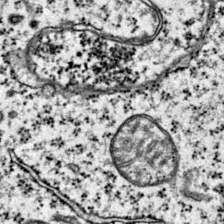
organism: Mouse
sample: Primary visual cortex